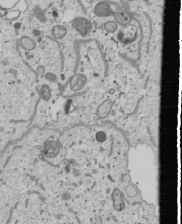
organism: Human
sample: Mitochondria in U2OS cells